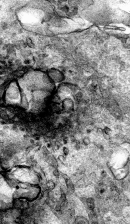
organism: Human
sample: Mitochondria in HCT116 cells